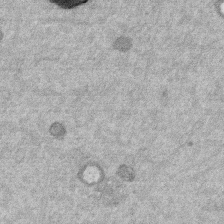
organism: Mouse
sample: Dividing mouse embryo 1 cell stage